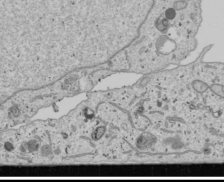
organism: Human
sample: Mitochondria in U2OS cells